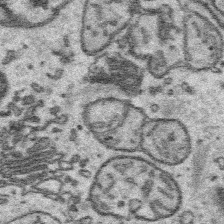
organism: Platynereis dumerilii